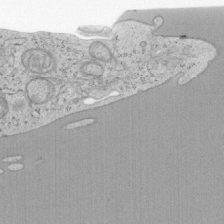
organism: Human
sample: HeLa cells